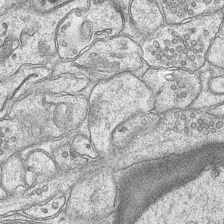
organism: Mouse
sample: CA1 Hippocampus